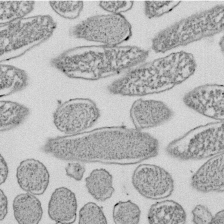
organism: E. coli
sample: Bacterial nucleoid